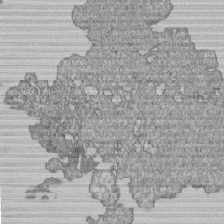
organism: Human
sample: MDA-MB-231 cells